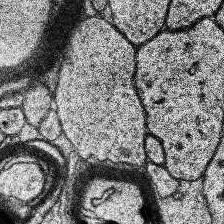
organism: Human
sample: Temporal Lobe